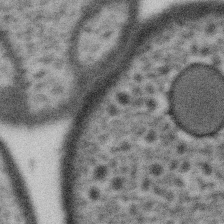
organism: Gemmata obscuriglobus